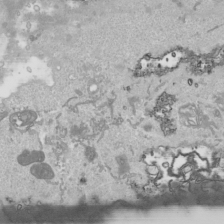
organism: Human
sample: Mitochondria in HCT116 cells